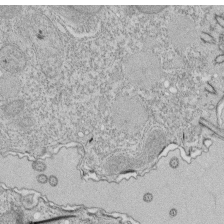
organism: Tetrahymena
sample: Cilia in tetrahymena